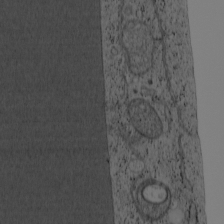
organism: African green monkey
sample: COS-7 cells